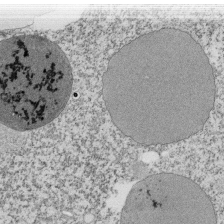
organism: Tetrahymena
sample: Cilia in tetrahymena